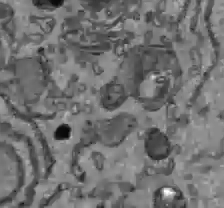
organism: C57BL Mouse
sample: Liver